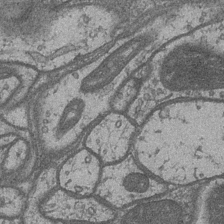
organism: Drosophila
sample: Optic medulla